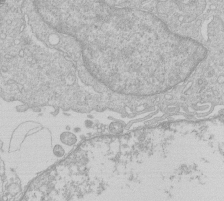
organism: Human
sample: Macrophage cells